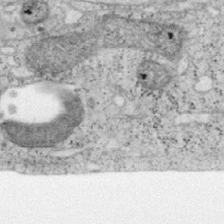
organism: Mouse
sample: OT-I killer T cells with ID8 ovarian cancer cells